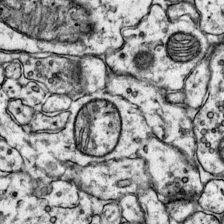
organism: Mouse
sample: Primary visual cortex